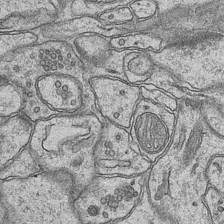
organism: Mouse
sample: CA1 Hippocampus